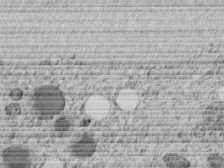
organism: C. elegans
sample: C. elegans embryo early stage